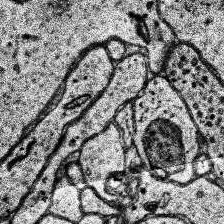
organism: Human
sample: Temporal Lobe